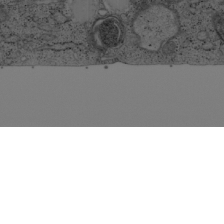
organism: African green monkey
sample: COS-7 cells